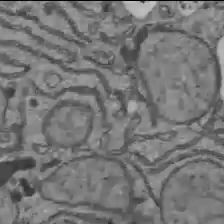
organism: C57BL Mouse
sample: Liver